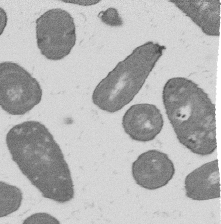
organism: B. subtilis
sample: Bacterial spore